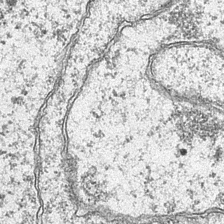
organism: Mouse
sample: CA1 Hippocampus